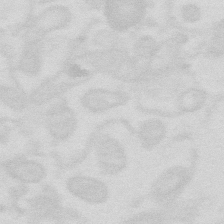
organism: Human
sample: HeLa cells